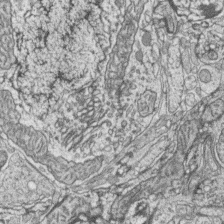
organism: Zebrafish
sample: synaptic ribbons in rod cells and cone cells